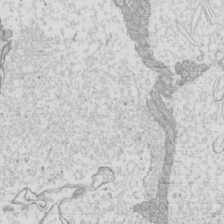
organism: Mouse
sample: Cilia; mouse epididymis